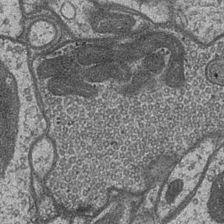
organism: Drosophila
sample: Optic medulla